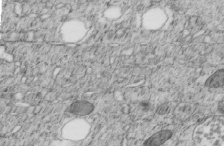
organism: C. elegans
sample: C. elegans embryo early stage